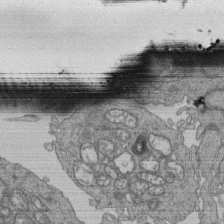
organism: Human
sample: Retinal organoid Rod and Cone cells